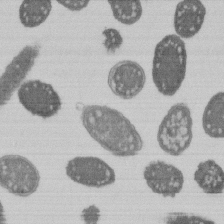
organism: E. coli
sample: Bacterial nucleoid